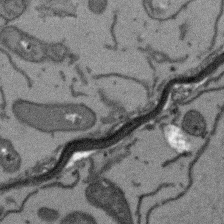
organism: Arabidopsis thaliana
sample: Root tip